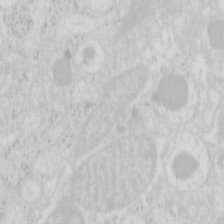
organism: Mouse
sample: Pancreas